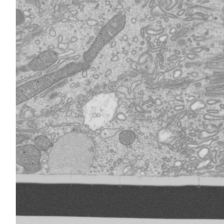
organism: Mouse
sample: Cilia; mouse epididymis